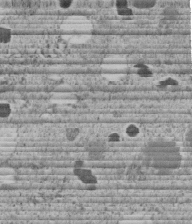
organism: C. elegans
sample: C. elegans embryo early stage